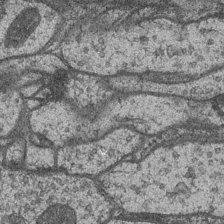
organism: Drosophila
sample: Optic medulla